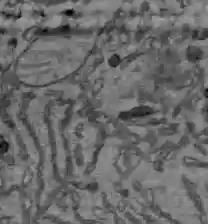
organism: C57BL Mouse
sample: Liver